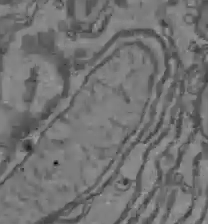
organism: C57BL Mouse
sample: Liver